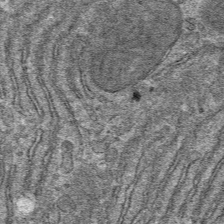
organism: Mouse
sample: Mouse hepatocytes